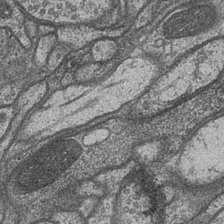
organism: Drosophila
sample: Optic medulla